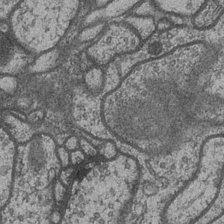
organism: Drosophila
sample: Optic medulla